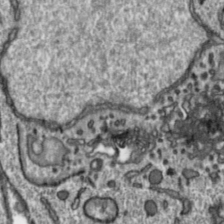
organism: Toxoplasma gondii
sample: Parasites in a vacuole inside a host cell